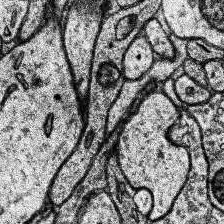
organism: Human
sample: Temporal Lobe